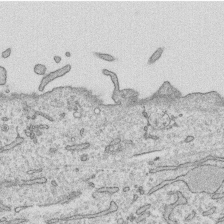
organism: Human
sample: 1205lu cells